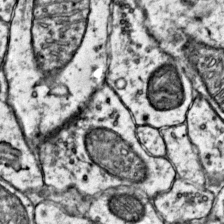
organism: Mouse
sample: Primary visual cortex